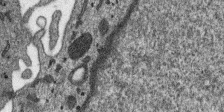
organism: Human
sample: Lung epithelial cells infected with SARS-CoV-2